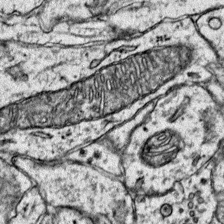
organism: Mouse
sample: Primary visual cortex